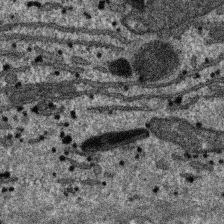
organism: Human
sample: Lung epithelial cells infected with SARS-CoV-2